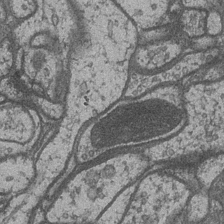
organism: Drosophila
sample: Optic medulla